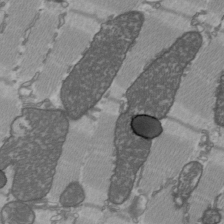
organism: C57BL Mouse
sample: Heart